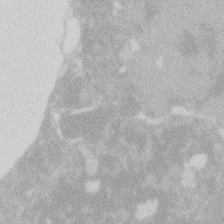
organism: Zebrafish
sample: Macrophage